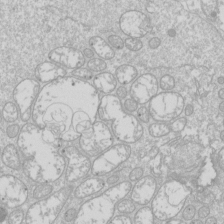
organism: Drosophila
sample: Cell division; meiosis; drosophila spermatocytes